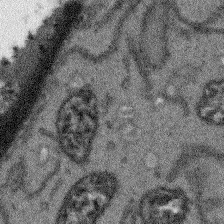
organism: Arabidopsis thaliana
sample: Root tip